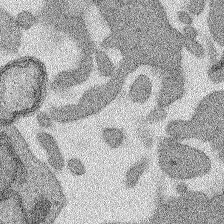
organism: Human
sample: HeLa cells